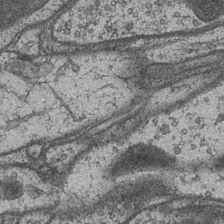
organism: Drosophila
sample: Optic medulla